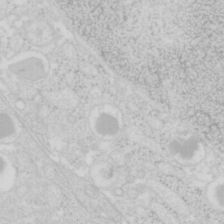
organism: Mouse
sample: Pancreas